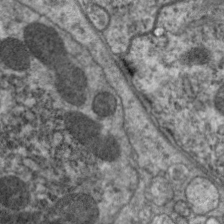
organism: C. elegans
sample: Pharynx